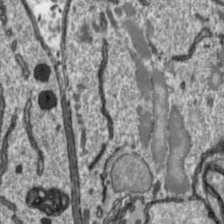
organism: Toxoplasma gondii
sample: Parasites in a vacuole inside a host cell